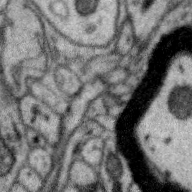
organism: Zebra finch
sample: Brain